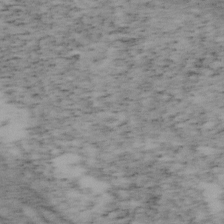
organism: Mouse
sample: OT-I killer T cells with ID8 ovarian cancer cells